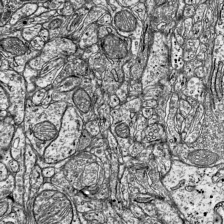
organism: Mouse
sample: Visual Cortex